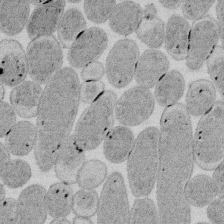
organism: E. coli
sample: Bacterial nucleoid